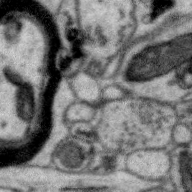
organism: Zebra finch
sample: Brain